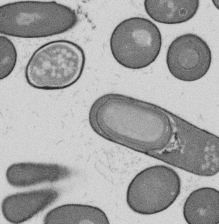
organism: B. subtilis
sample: Bacterial spore